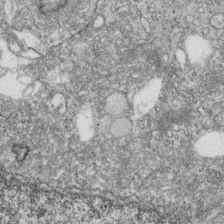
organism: Zebrafish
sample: Cilia; retinal pigment epithelium